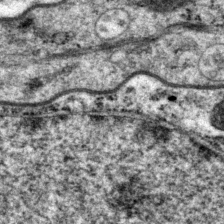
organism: P. pacificus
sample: Pharynx